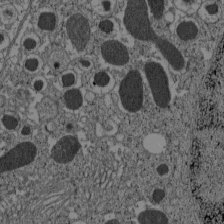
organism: C57BL Mouse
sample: Pancreatic islet